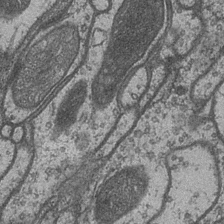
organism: Drosophila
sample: Optic medulla